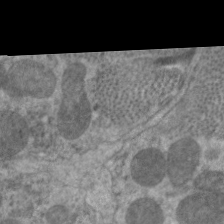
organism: C. elegans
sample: Pharynx